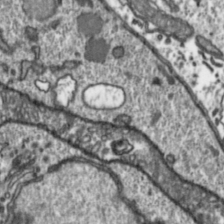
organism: Toxoplasma gondii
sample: Parasites in a vacuole inside a host cell